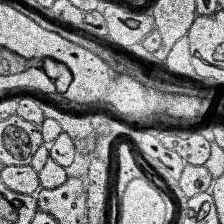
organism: Human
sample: Temporal Lobe